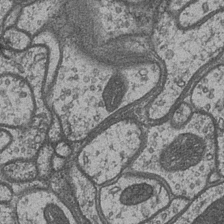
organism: Drosophila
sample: Optic medulla